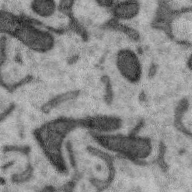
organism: Zebra finch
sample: Brain